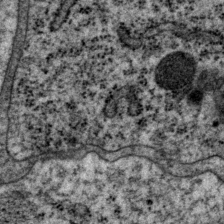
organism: P. pacificus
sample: Pharynx